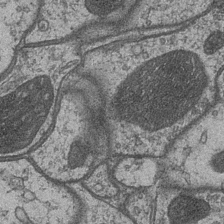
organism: Drosophila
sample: Optic medulla